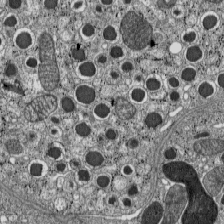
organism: C57BL Mouse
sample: Pancreatic islet